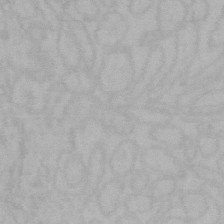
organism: Mouse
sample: Choroid plexus